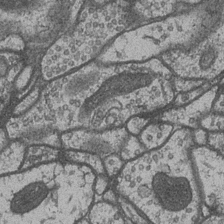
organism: Drosophila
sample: Optic medulla